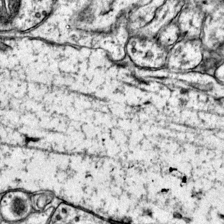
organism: Mouse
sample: Primary visual cortex